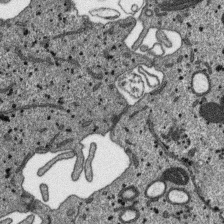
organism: Human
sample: Lung epithelial cells infected with SARS-CoV-2